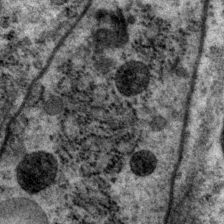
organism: P. pacificus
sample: Pharynx